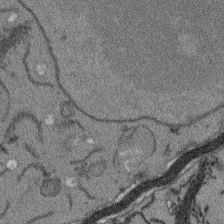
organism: Arabidopsis thaliana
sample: Root tip